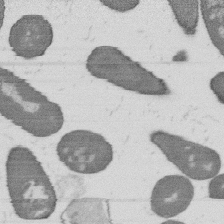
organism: B. subtilis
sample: Bacterial spore